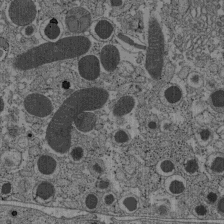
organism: C57BL Mouse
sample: Pancreatic islet